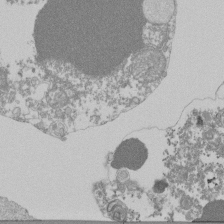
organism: Mouse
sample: Activated Pmel transgenic CD8+ T Cells